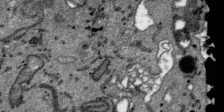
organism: Human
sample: Lung epithelial cells, uninfected (mock) control